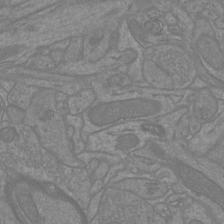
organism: Mouse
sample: Cortical neurons